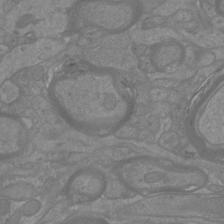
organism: Mouse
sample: Cortical neurons